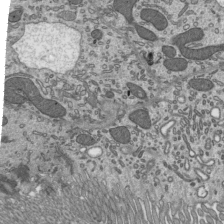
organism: Mouse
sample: Mouse epididymis efferent ductule cilia